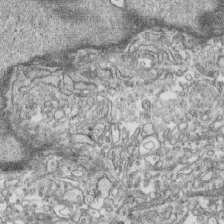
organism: Human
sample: CRL-1474